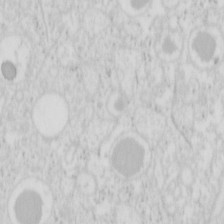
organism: Mouse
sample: Pancreas